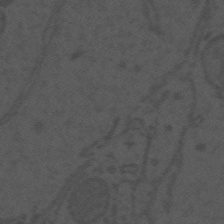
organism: Mouse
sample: Suprachiasmatic nucleus